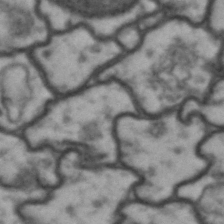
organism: Drosophila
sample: Brain